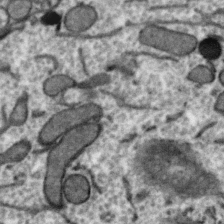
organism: Zebra finch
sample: Brain